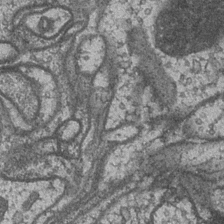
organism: Drosophila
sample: Optic medulla